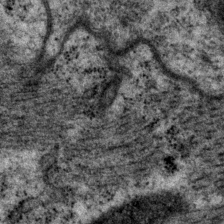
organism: P. pacificus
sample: Pharynx